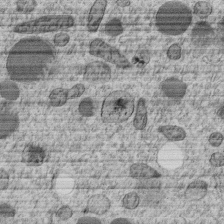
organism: C. elegans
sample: C. elegans embryo early stage